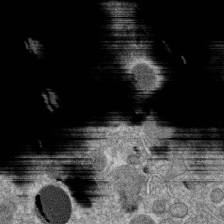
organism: C. elegans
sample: C. elegans oocyte; sperm cells